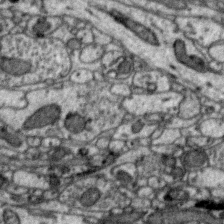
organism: Zebra finch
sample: Brain